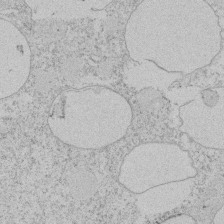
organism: Tetrahymena